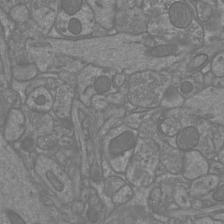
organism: Mouse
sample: Cortical neurons